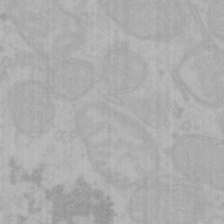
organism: Mouse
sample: Choroid plexus